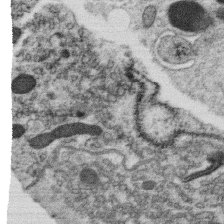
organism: C. elegans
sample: C. elegans oocyte; sperm cells